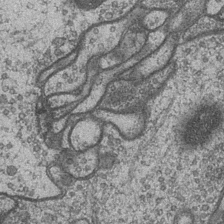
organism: Drosophila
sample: Optic medulla